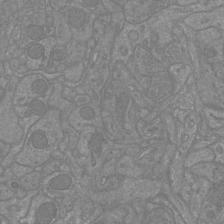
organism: Mouse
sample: Cortical neurons